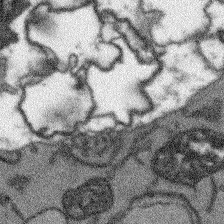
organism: Arabidopsis thaliana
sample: Root tip